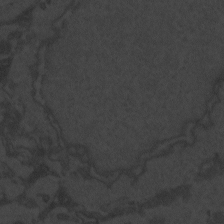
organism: Zebrafish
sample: Macrophage infected with Toxoplasma gondii